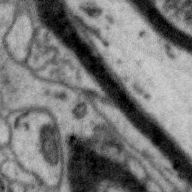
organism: Zebra finch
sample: Brain